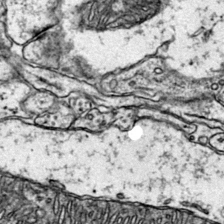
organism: Mouse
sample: Primary visual cortex